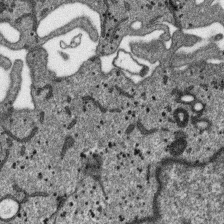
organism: Human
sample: Lung epithelial cells infected with SARS-CoV-2